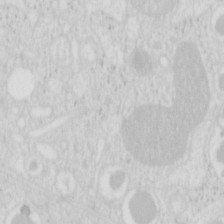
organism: Mouse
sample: Pancreas